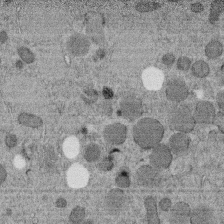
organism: C. elegans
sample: C. elegans embryo early stage